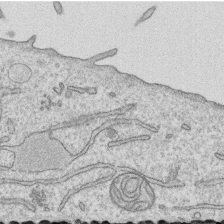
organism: Human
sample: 1205lu cells